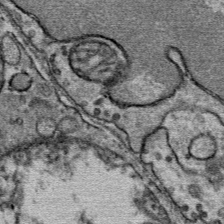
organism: Mouse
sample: Mouse Salivary gland